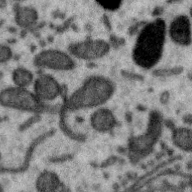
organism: Zebra finch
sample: Brain